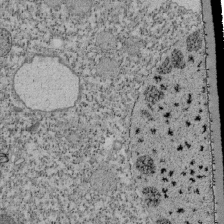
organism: Tetrahymena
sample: Cilia in tetrahymena